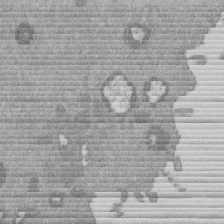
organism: Mouse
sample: Dividing mouse embryo 1 cell stage